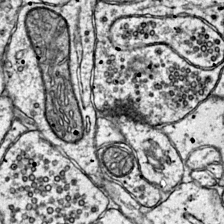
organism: Mouse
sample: Primary visual cortex